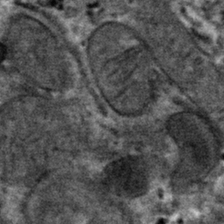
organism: Mouse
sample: Mouse hepatocytes